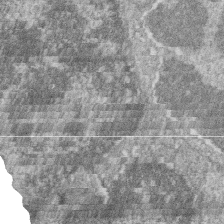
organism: Zebrafish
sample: Cilia; retinal pigment epithelium